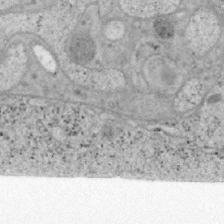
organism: Mouse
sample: OT-I killer T cells with ID8 ovarian cancer cells